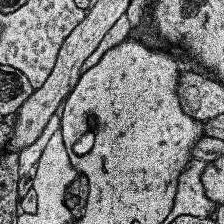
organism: Human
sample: Temporal Lobe